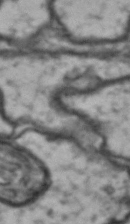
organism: Drosophila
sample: Brain